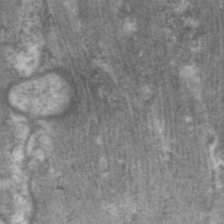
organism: C. elegans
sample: Pharynx